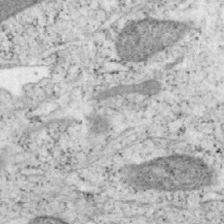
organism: Mouse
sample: OT-I killer T cells with ID8 ovarian cancer cells